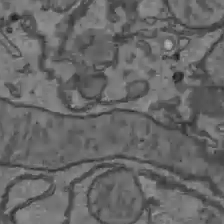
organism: C57BL Mouse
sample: Liver